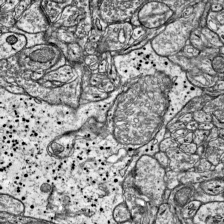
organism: Mouse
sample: Visual Cortex